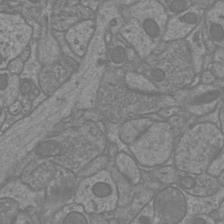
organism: Mouse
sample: Cortical neurons